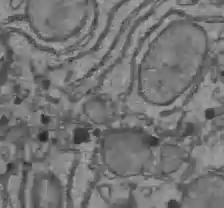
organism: C57BL Mouse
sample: Liver